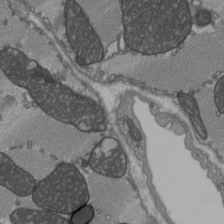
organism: C57BL Mouse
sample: Heart